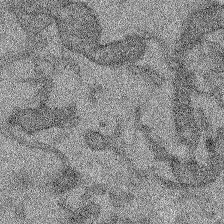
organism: Human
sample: HeLa cells